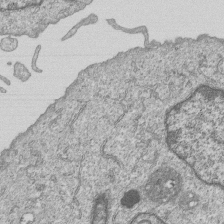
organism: Human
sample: MDA-MB-231 cells